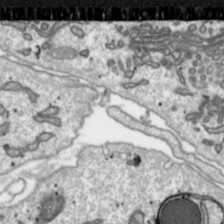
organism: Toxoplasma gondii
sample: Parasites in a vacuole inside a host cell